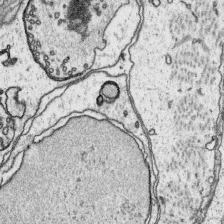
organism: Platynereis dumerilii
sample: Parapodia